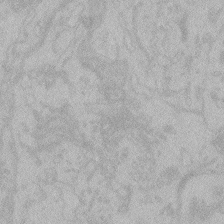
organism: Zebrafish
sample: Macrophage infected with Toxoplasma gondii